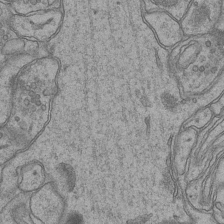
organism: Mouse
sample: CA1 Hippocampus